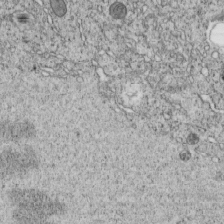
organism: C. elegans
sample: C. elegans embryo early stage